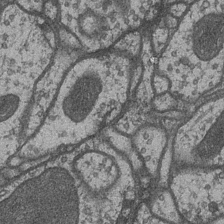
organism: Drosophila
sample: Optic medulla